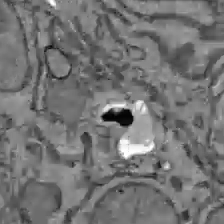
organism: C57BL Mouse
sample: Liver